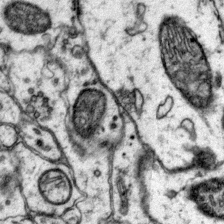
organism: Mouse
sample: Primary visual cortex